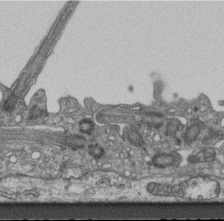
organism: Mouse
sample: Centriole in ependymal cells